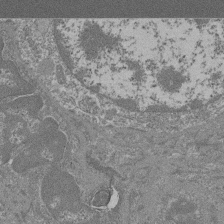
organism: Mouse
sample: Glomerulus